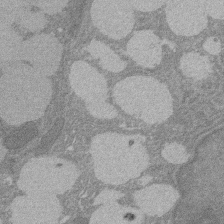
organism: Rat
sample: Salivary granule